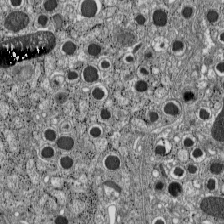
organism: C57BL Mouse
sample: Pancreatic islet